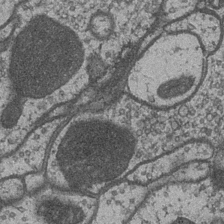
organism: Drosophila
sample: Optic medulla